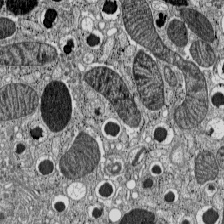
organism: C57BL Mouse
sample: Pancreatic islet